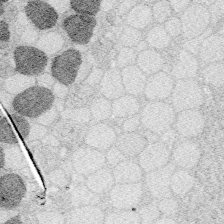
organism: Zebrafish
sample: Whole-Brain